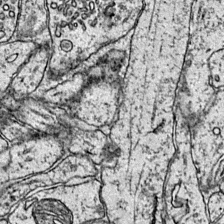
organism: Mouse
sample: Primary visual cortex